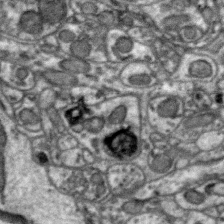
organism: Zebra finch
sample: Brain